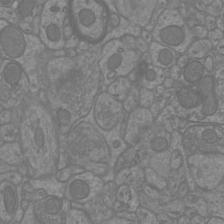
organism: Mouse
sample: Cortical neurons